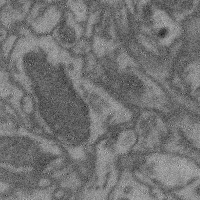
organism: Mouse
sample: Cerebral cortex